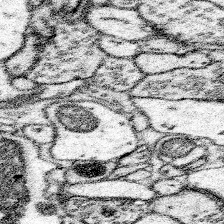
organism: Mouse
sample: Somatosensory cortex neuropil